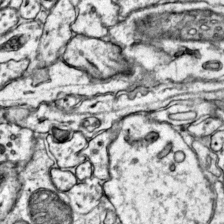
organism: Mouse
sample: Primary visual cortex